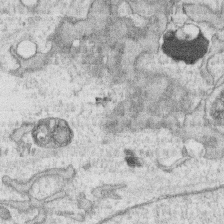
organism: Human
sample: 1205lu cells